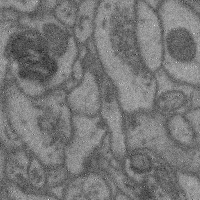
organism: Mouse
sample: Cerebral cortex